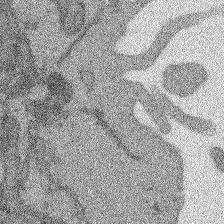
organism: Human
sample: HeLa cells